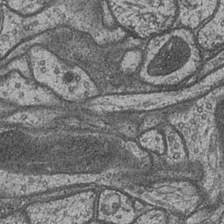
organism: Drosophila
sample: Optic medulla